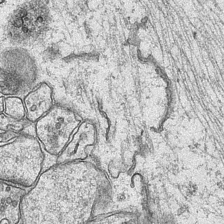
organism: Mouse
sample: CA1 Hippocampus